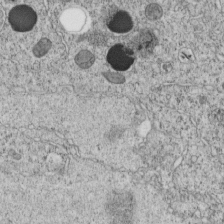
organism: C. elegans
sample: C. elegans embryo early stage